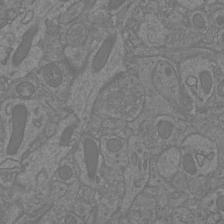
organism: Mouse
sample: Cortical neurons